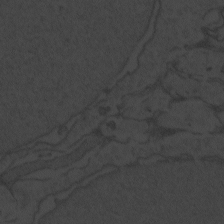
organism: Zebrafish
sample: Macrophage infected with Toxoplasma gondii